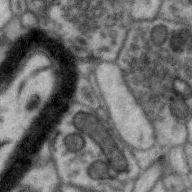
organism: Zebra finch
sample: Brain